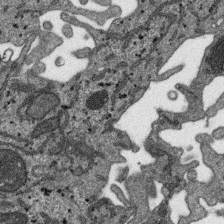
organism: Human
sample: Lung epithelial cells infected with SARS-CoV-2